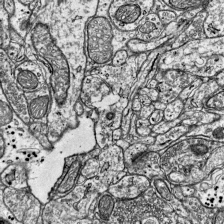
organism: Mouse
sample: Visual Cortex